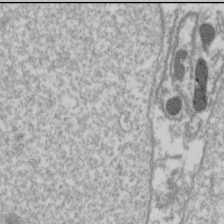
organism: Drosophila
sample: Cell division; meiosis; drosophila spermatocytes